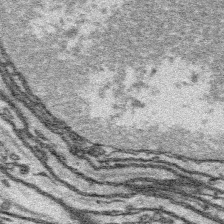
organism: Platynereis dumerilii